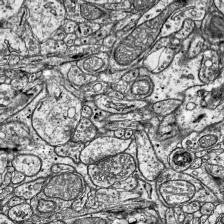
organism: Mouse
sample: Visual Cortex